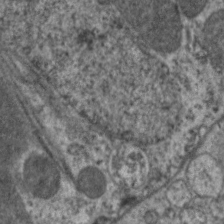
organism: C. elegans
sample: Pharynx